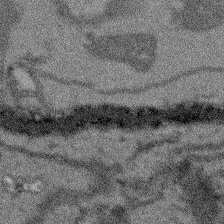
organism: Arabidopsis thaliana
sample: Root tip